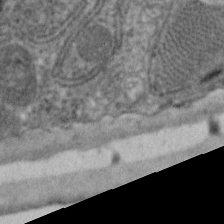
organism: C. elegans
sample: Pharynx